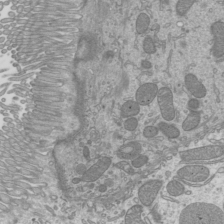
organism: Mouse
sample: Cilia; mouse epididymis